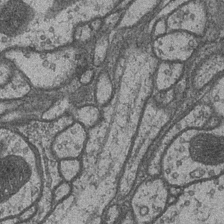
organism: Drosophila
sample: Optic medulla